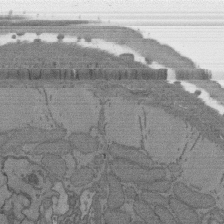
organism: C. elegans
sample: AFD neurons C. elegans